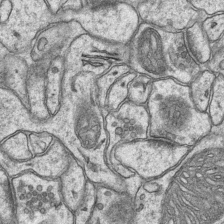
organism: Mouse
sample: CA1 Hippocampus